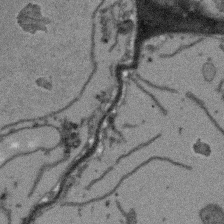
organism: Arabidopsis thaliana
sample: Root tip